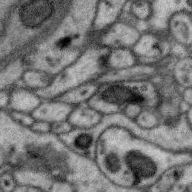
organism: Zebra finch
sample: Brain